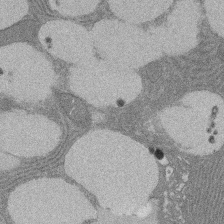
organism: Rat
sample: Salivary granule